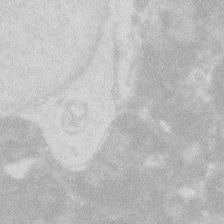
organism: Zebrafish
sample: Macrophage